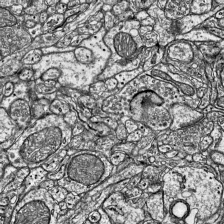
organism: Mouse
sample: Visual Cortex